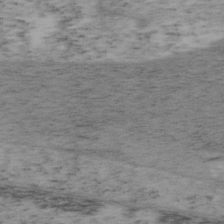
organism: Mouse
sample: OT-I killer T cells with ID8 ovarian cancer cells